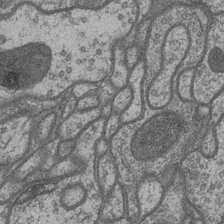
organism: Drosophila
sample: Optic medulla